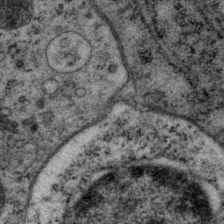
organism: P. pacificus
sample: Pharynx